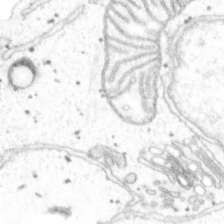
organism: Human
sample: HeLa cells